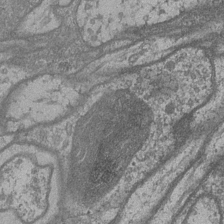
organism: Drosophila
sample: Optic medulla